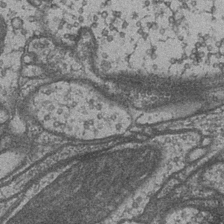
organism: Drosophila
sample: Optic medulla